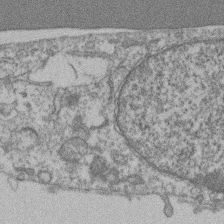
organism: Mouse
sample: T cell stromal cell synapse